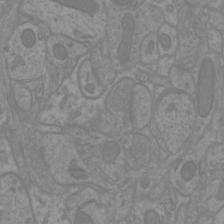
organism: Mouse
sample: Cortical neurons